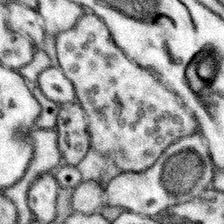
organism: Mouse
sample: Somatosensory cortex neuropil